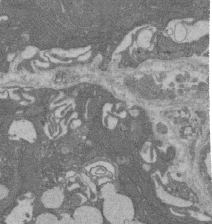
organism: Rat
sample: Salivary granule